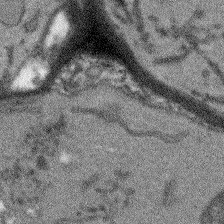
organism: Arabidopsis thaliana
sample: Root tip